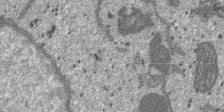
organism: Human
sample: Lung epithelial cells infected with SARS-CoV-2